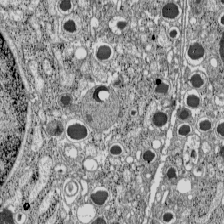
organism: C57BL Mouse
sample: Pancreatic islet